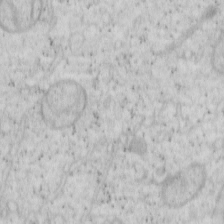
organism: Human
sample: HeLa cells